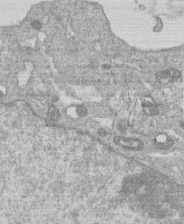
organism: Human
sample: Macrophage cells